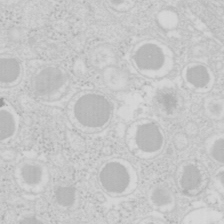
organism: Mouse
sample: Pancreas